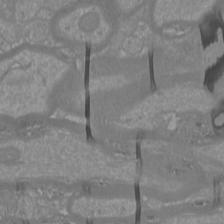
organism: Mouse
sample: Cortical neurons